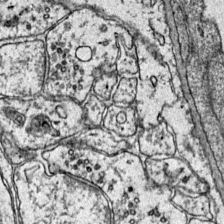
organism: Mouse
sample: Primary visual cortex